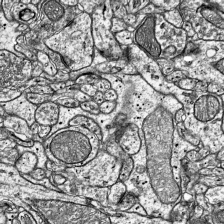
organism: Mouse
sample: Visual Cortex